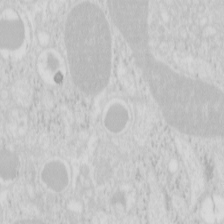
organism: Mouse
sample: Pancreas